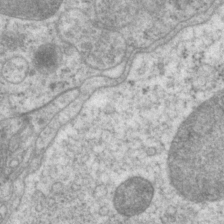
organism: P. pacificus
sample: Pharynx